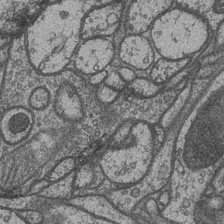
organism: Drosophila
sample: Optic medulla